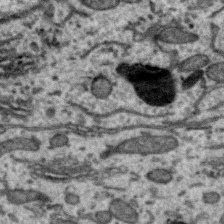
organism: Zebra finch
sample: Brain